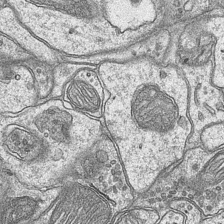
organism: Mouse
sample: CA1 Hippocampus